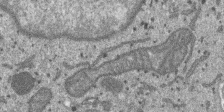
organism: Human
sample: Lung epithelial cells infected with SARS-CoV-2